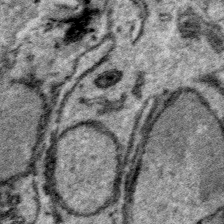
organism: Plasmodium falciparum